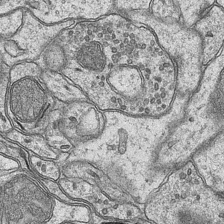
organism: Mouse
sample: CA1 Hippocampus